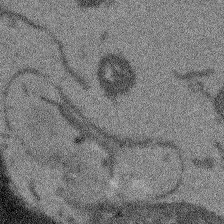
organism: Arabidopsis thaliana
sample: Root tip